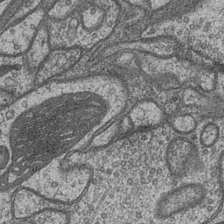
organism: Drosophila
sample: Optic medulla